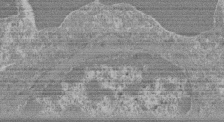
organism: Mouse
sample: Glomerulus